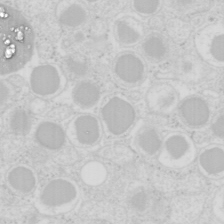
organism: Mouse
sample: Pancreas